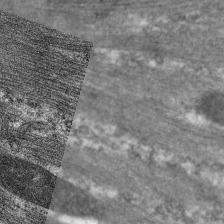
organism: C. elegans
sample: Pharynx